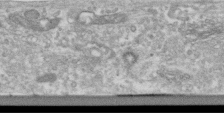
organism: Human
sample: Centriole in RPE cells